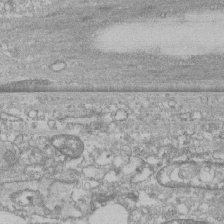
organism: Human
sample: CRL-1474